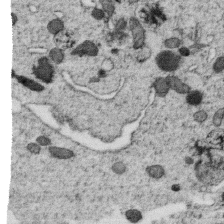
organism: C. elegans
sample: C. elegans oocyte; sperm cells